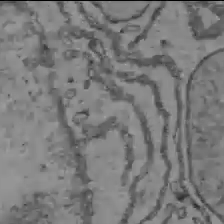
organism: C57BL Mouse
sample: Liver